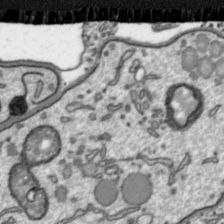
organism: Toxoplasma gondii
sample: Parasites in a vacuole inside a host cell